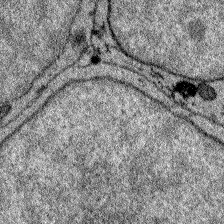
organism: Zebrafish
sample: Larval olfactory bulb